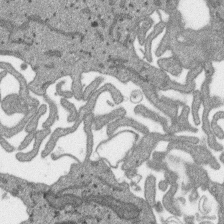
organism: Human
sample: Lung epithelial cells infected with SARS-CoV-2